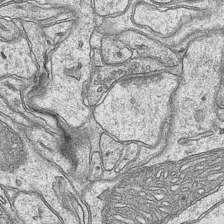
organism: Mouse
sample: CA1 Hippocampus